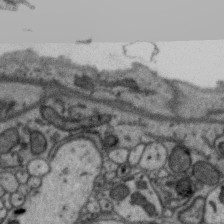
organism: Zebra finch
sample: Brain